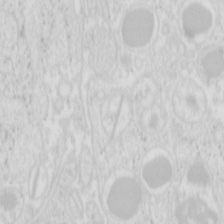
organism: Mouse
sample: Pancreas